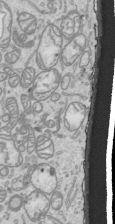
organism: Human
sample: Mitochondria in HCT116 cells